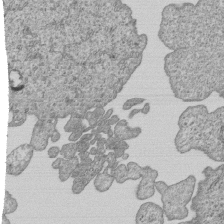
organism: Human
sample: MDA-MB-231 cells